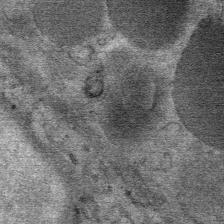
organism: Mouse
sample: Mouse Salivary gland